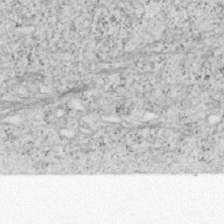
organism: Mouse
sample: OT-I killer T cells with ID8 ovarian cancer cells